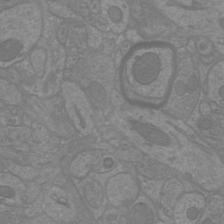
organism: Mouse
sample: Cortical neurons